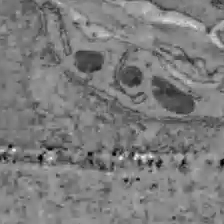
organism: C57BL Mouse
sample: Liver